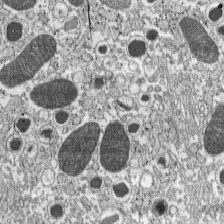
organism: C57BL Mouse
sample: Pancreatic islet